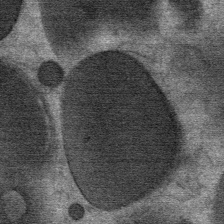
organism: Mouse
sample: Mouse Salivary gland